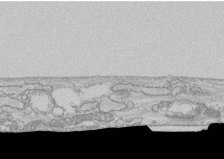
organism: Human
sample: CRL-1474